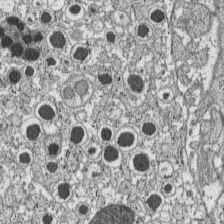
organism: C57BL Mouse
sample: Pancreatic islet